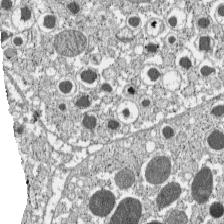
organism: C57BL Mouse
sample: Pancreatic islet